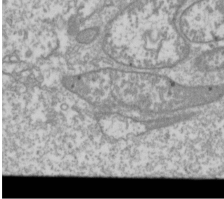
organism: Drosophila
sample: Cell division; meiosis; drosophila spermatocytes